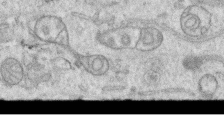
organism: Human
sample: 1205lu cells